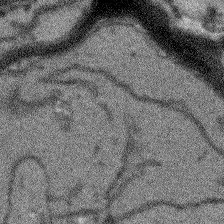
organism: Arabidopsis thaliana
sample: Root tip